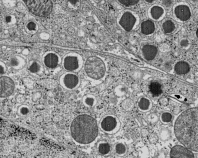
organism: C57BL Mouse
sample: Pancreatic islet